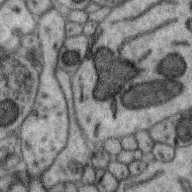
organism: Zebra finch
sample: Brain